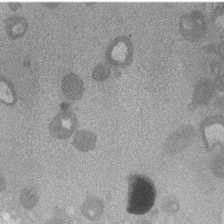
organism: Mouse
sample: Dividing mouse embryo 1 cell stage